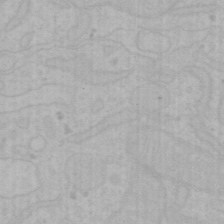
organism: Mouse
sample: Choroid plexus